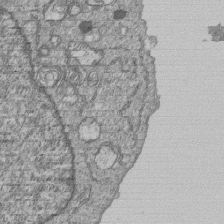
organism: Human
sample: MDA-MB-231 cells